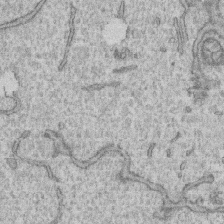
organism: Human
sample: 1205lu cells